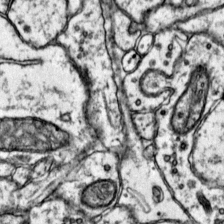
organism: Mouse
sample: Primary visual cortex